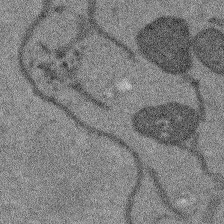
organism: Arabidopsis thaliana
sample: Root tip